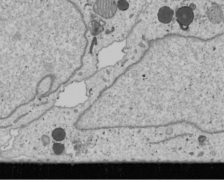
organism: Human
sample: Mitochondria in U2OS cells